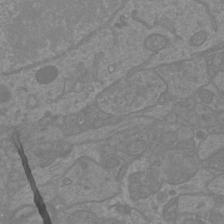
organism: Mouse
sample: Cortical neurons